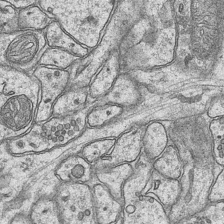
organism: Mouse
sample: CA1 Hippocampus